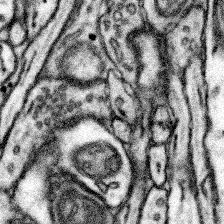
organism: Mouse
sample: Somatosensory cortex neuropil